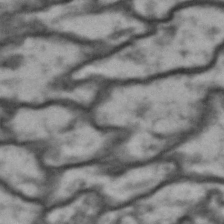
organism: Drosophila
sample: Brain